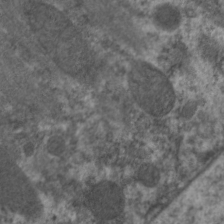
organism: C. elegans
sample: Pharynx